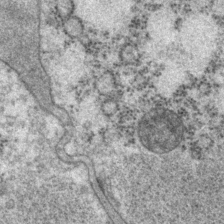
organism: P. pacificus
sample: Pharynx